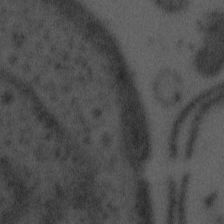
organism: Tuwongella immobilis